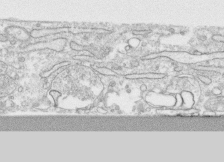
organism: Human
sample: CRL-1474